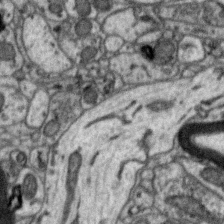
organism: Zebra finch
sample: Brain